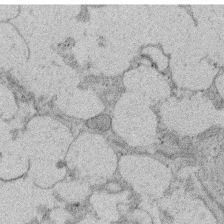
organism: Rat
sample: Salivary granule